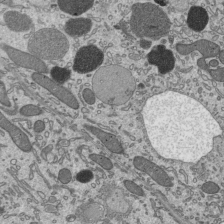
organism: Mouse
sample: Mouse epididymis efferent ductule cilia